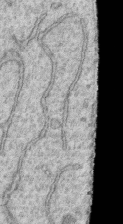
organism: Human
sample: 1205lu cells